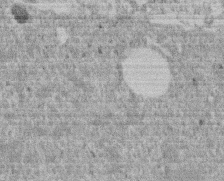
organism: Mouse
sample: Dividing mouse embryo 1 cell stage